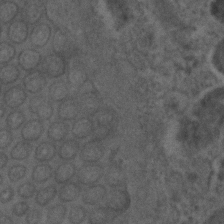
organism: C. elegans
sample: C. elegans embryo